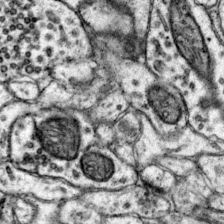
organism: Mouse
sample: Primary visual cortex